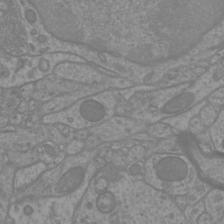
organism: Mouse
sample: Cortical neurons